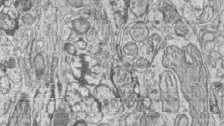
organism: Zebrafish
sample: synaptic ribbons in rod cells and cone cells